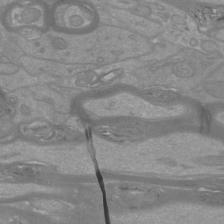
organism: Mouse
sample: Cortical neurons